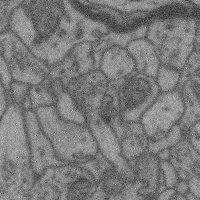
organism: Mouse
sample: Cerebral cortex